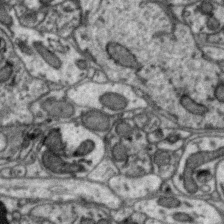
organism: Zebra finch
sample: Brain